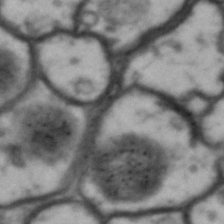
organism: Drosophila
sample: Brain